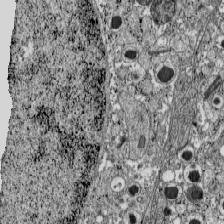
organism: C57BL Mouse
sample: Pancreatic islet